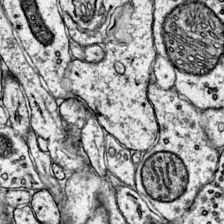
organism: Mouse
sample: Primary visual cortex